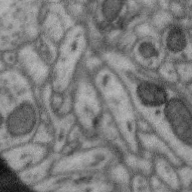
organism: Zebra finch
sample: Brain